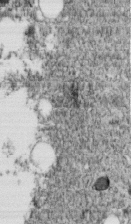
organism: C. elegans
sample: C. elegans embryo early stage